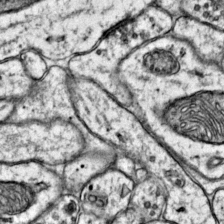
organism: Mouse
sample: Primary visual cortex